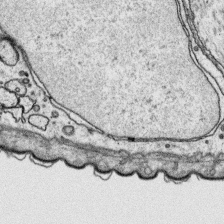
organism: Platynereis dumerilii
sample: Parapodia